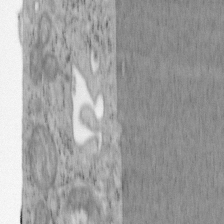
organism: Human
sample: HeLa cells